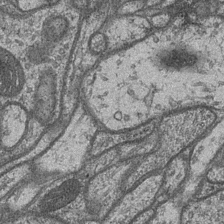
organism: Drosophila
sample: Optic medulla